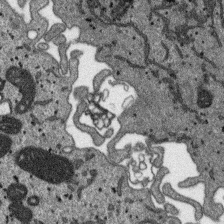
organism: Human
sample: Lung epithelial cells infected with SARS-CoV-2